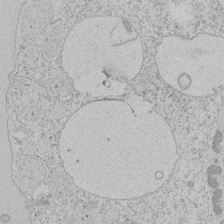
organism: Tetrahymena